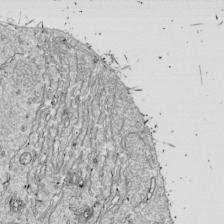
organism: Drosophila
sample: Cell division; meiosis; drosophila spermatocytes